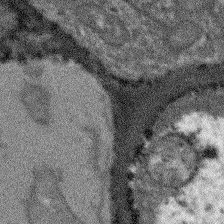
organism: Arabidopsis thaliana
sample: Root tip